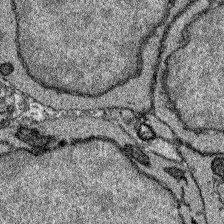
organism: Zebrafish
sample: Larval olfactory bulb